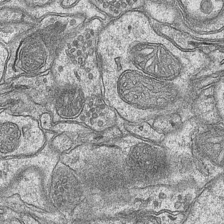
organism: Mouse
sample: CA1 Hippocampus